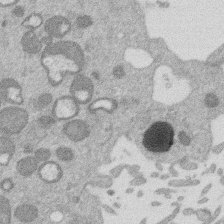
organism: Mouse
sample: Dividing mouse embryo 1 cell stage